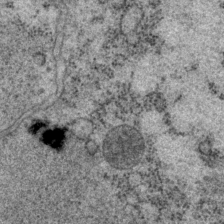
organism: P. pacificus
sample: Pharynx